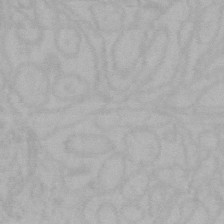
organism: Mouse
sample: Choroid plexus